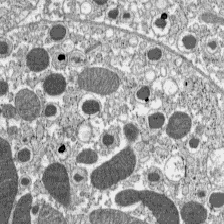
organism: C57BL Mouse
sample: Pancreatic islet